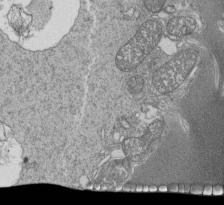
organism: Tetrahymena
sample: Cilia in tetrahymena